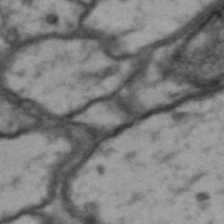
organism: Drosophila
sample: Brain